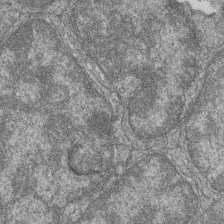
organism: Zebrafish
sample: Cilia; retinal pigment epithelium